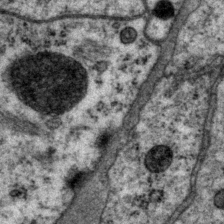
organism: P. pacificus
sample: Pharynx